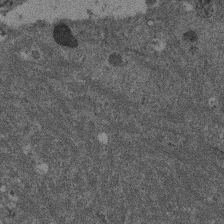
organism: Mouse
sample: Dividing mouse embryo 1 cell stage